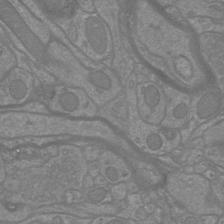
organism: Mouse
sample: Cortical neurons